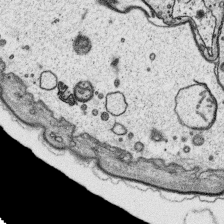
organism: Platynereis dumerilii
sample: Parapodia